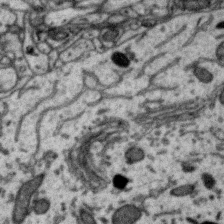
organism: Zebra finch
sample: Brain